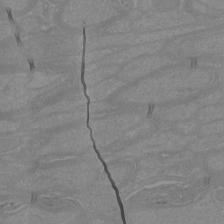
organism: Mouse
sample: Cortical neurons